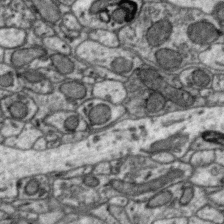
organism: Zebra finch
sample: Brain